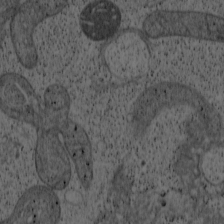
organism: African green monkey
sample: COS-7 cells